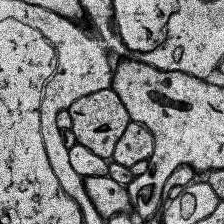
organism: Human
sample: Temporal Lobe